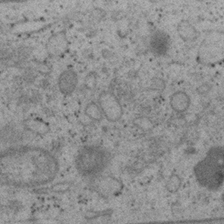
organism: Human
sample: HeLa cells